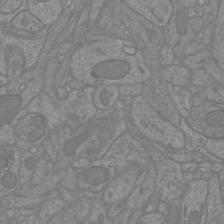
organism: Mouse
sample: Cortical neurons